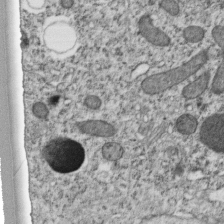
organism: C. elegans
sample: C. elegans embryo early stage